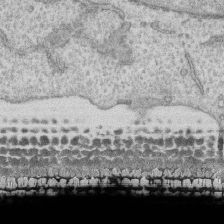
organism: Human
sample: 1205lu cells